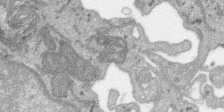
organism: Human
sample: Lung epithelial cells infected with SARS-CoV-2